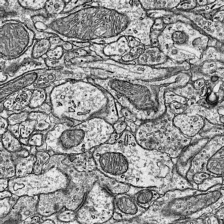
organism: Mouse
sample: Visual Cortex